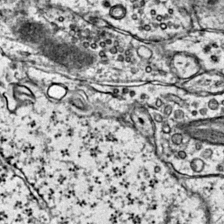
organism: Mouse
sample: Primary visual cortex